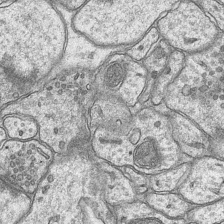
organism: Mouse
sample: CA1 Hippocampus